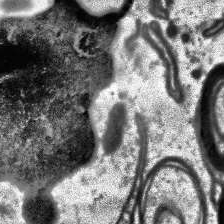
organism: Human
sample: Temporal Lobe